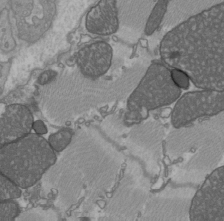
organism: C57BL Mouse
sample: Heart